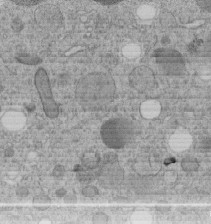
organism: C. elegans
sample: C. elegans embryo early stage